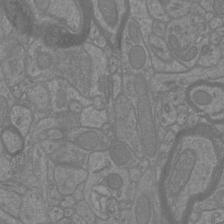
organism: Mouse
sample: Cortical neurons